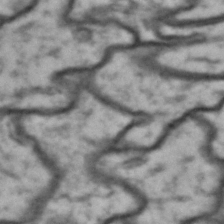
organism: Drosophila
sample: Brain